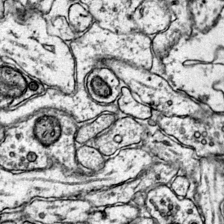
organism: Mouse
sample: Primary visual cortex